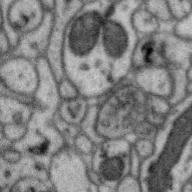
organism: Zebra finch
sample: Brain